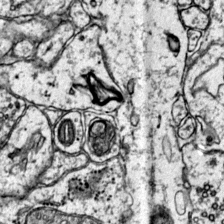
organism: Mouse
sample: Primary visual cortex